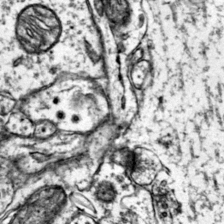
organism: Mouse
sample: Primary visual cortex